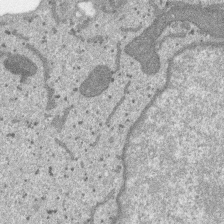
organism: Human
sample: Lung epithelial cells infected with SARS-CoV-2